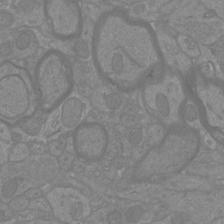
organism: Mouse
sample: Cortical neurons